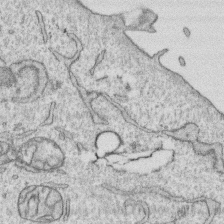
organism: Human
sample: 1205lu cells